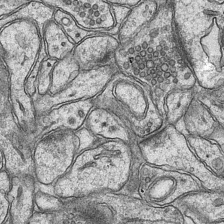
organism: Mouse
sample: CA1 Hippocampus